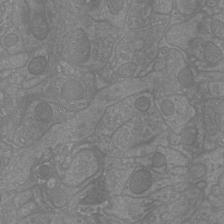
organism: Mouse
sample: Cortical neurons